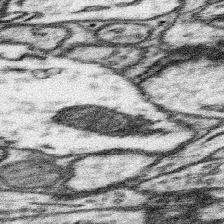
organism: Mouse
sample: Somatosensory cortex neuropil